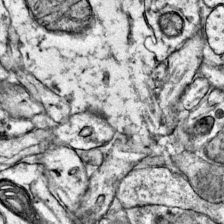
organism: Mouse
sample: Primary visual cortex